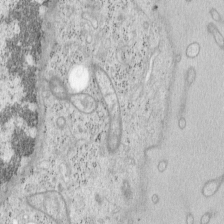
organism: Mouse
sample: OT-I killer T cells with ID8 ovarian cancer cells